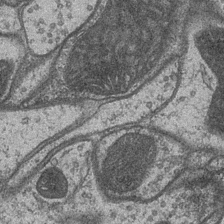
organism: Drosophila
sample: Optic medulla